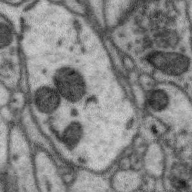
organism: Zebra finch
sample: Brain